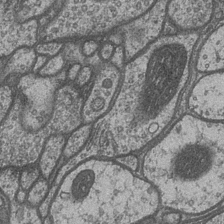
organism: Drosophila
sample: Optic medulla